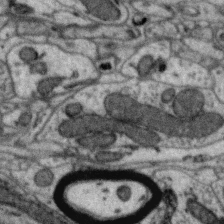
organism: Zebra finch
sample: Brain